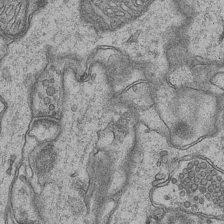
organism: Mouse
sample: CA1 Hippocampus